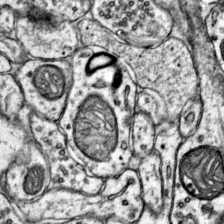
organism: Mouse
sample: Primary visual cortex